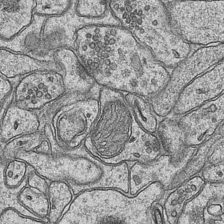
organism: Mouse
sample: CA1 Hippocampus